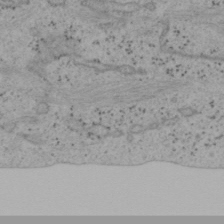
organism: Human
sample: HeLa cells